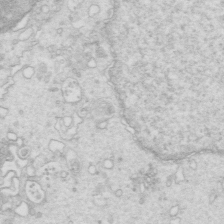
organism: Mouse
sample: Multiciliated cells